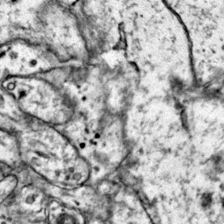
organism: Mouse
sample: Primary visual cortex